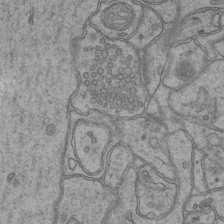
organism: Mouse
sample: CA1 Hippocampus